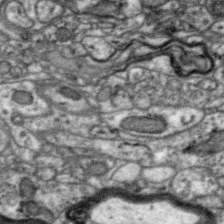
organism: Zebra finch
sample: Brain